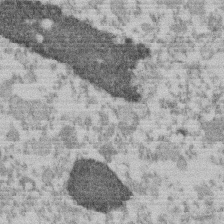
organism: Mouse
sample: Dividing mouse embryo 1 cell stage